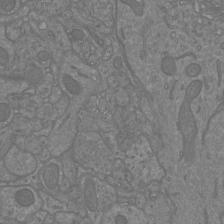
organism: Mouse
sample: Cortical neurons